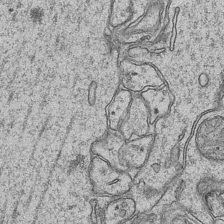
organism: Mouse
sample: CA1 Hippocampus